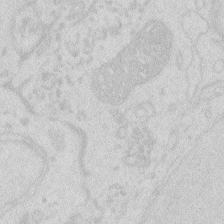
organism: Zebrafish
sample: Macrophage